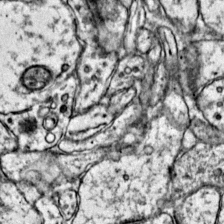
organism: Mouse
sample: Primary visual cortex